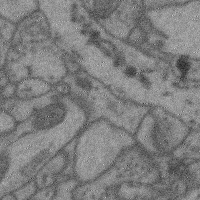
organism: Mouse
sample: Cerebral cortex